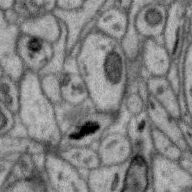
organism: Zebra finch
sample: Brain